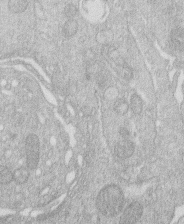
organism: Human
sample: Macrophage cells